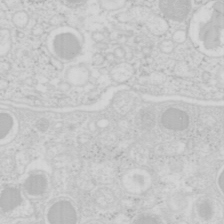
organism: Mouse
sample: Pancreas